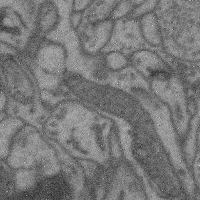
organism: Mouse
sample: Cerebral cortex